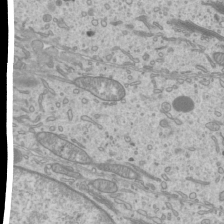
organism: Mouse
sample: Cilia; mouse epididymis